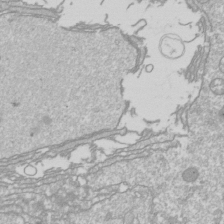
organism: Drosophila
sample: Cell division; meiosis; drosophila spermatocytes